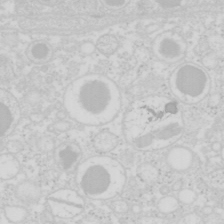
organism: Mouse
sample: Pancreas